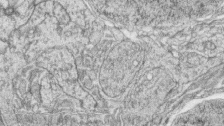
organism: Zebrafish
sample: synaptic ribbons in rod cells and cone cells